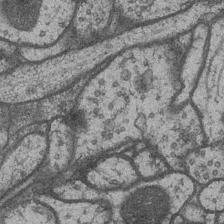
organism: Drosophila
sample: Optic medulla